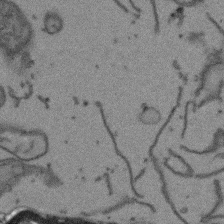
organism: Arabidopsis thaliana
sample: Root tip